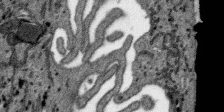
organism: Human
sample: Lung epithelial cells, uninfected (mock) control